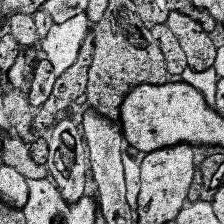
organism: Human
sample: Temporal Lobe